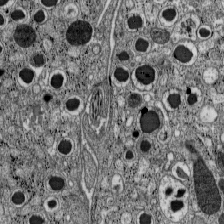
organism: C57BL Mouse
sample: Pancreatic islet